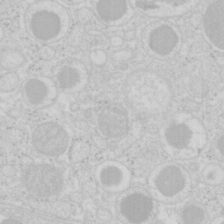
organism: Mouse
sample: Pancreas